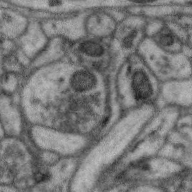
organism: Zebra finch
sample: Brain